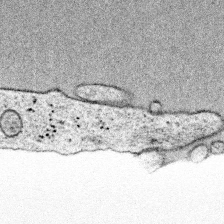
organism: Human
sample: HeLa cells